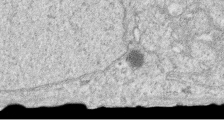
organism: Human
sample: HeLa cell HIV synapse